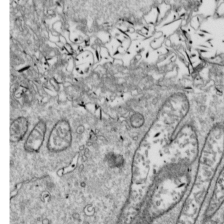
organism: Drosophila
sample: Cell division; meiosis; drosophila spermatocytes